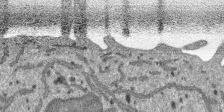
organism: Human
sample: Lung epithelial cells infected with SARS-CoV-2